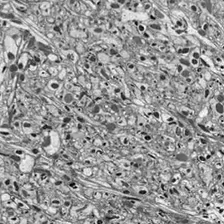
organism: Drosophila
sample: Optic lobe